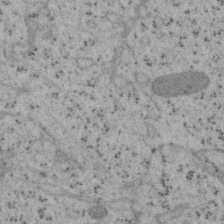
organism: Human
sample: HeLa cells